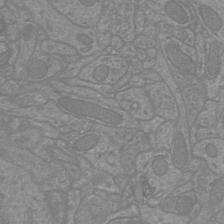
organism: Mouse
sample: Cortical neurons